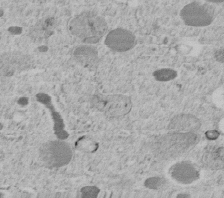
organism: C. elegans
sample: C. elegans embryo early stage